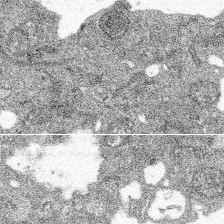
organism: Spongilla lacustris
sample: Multiple